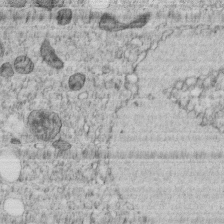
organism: C. elegans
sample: C. elegans embryo early stage